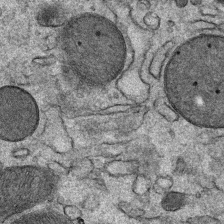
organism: Mouse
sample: Mouse Salivary gland